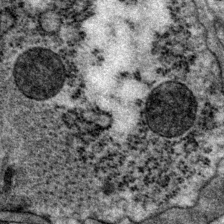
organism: P. pacificus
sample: Pharynx